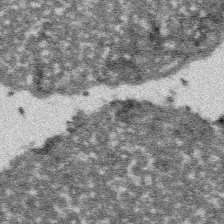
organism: Platynereis dumerilii